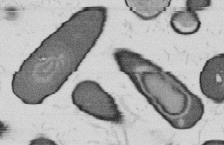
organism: B. subtilis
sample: Bacterial spore